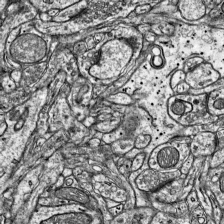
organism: Mouse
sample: Visual Cortex